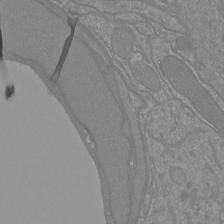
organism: Mouse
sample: Cortical neurons